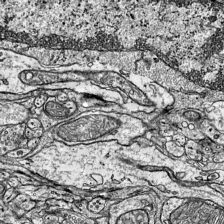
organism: Mouse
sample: Visual Cortex